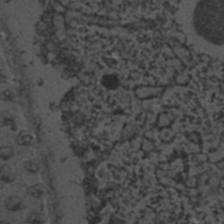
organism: C. elegans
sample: C. elegans embryo